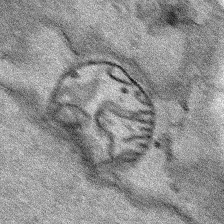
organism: Human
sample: Mitochondria in HCT116 cells